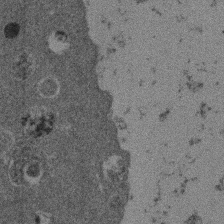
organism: Mouse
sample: Dividing mouse embryo 1 cell stage